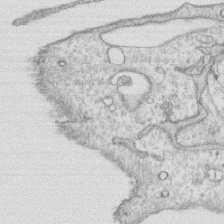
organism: Human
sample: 1205lu cells